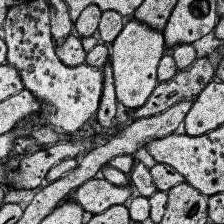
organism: Human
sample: Temporal Lobe